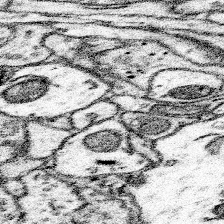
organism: Mouse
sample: Somatosensory cortex neuropil